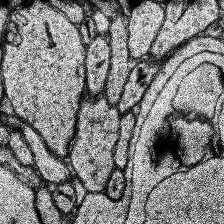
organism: Human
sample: Temporal Lobe